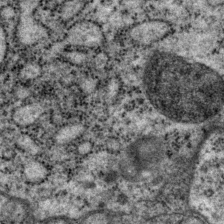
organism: P. pacificus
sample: Pharynx